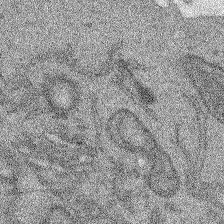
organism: Human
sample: HeLa cells